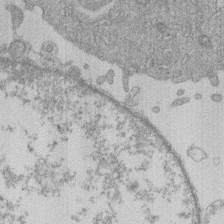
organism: Human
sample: Macrophage cells